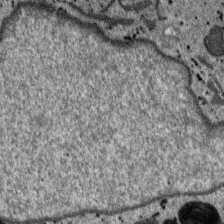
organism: Human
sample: Lung epithelial cells, uninfected (mock) control